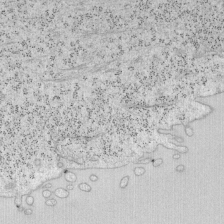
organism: Mouse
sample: OT-I killer T cells with ID8 ovarian cancer cells